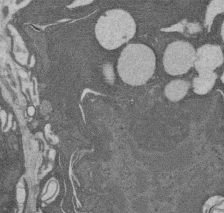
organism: Rat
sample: Salivary granule